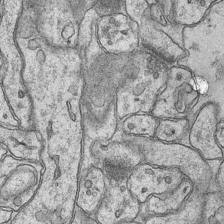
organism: Mouse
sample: CA1 Hippocampus